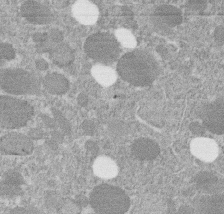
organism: C. elegans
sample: C. elegans embryo early stage